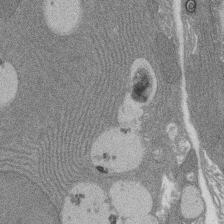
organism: Rat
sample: Salivary granule